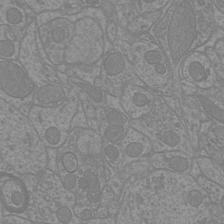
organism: Mouse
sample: Cortical neurons